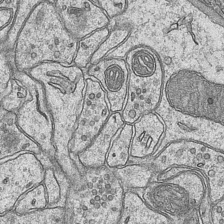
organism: Mouse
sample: CA1 Hippocampus